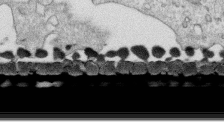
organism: Human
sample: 1205lu cells